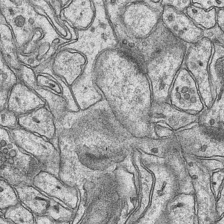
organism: Mouse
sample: CA1 Hippocampus